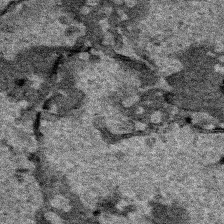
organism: Human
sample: Mitochondria in HCT116 cells